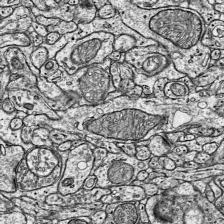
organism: Mouse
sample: Visual Cortex